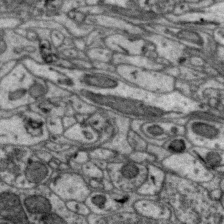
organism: Zebra finch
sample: Brain